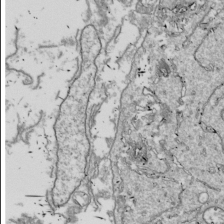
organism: Drosophila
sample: Cell division; meiosis; drosophila spermatocytes